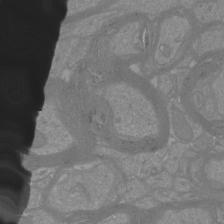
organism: Mouse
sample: Cortical neurons